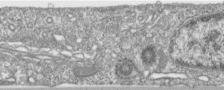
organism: Human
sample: Centriole in RPE cells